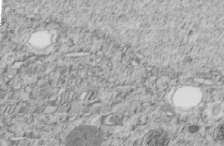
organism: C. elegans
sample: C. elegans embryo early stage